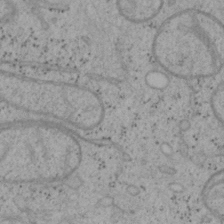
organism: Human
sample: HeLa cells